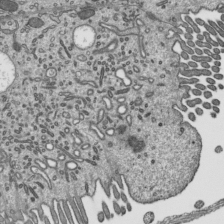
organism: Mouse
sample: Mouse epididymis efferent ductule cilia